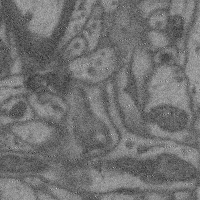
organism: Mouse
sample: Cerebral cortex